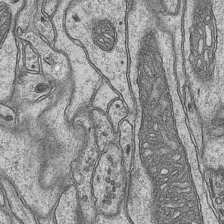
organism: Mouse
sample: CA1 Hippocampus